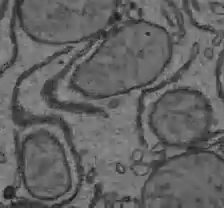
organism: C57BL Mouse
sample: Liver